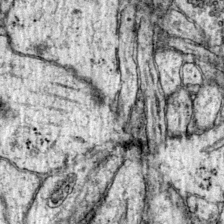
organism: Mouse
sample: Primary visual cortex